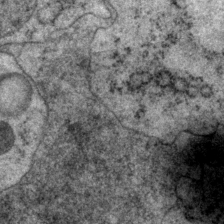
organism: P. pacificus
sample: Pharynx